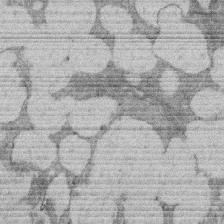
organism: Rat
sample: Salivary granule